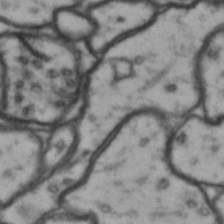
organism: Drosophila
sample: Brain